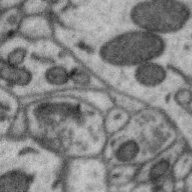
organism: Zebra finch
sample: Brain